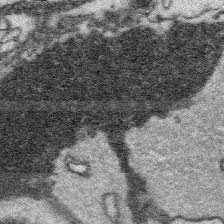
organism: Platynereis dumerilii